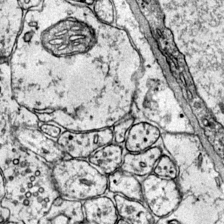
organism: Mouse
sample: Primary visual cortex